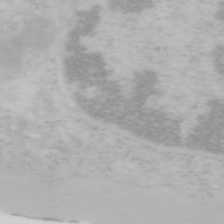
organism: Mouse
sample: OT-I killer T cells with ID8 ovarian cancer cells